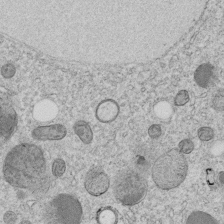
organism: C. elegans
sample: C. elegans embryo early stage